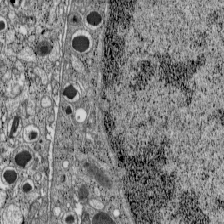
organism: C57BL Mouse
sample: Pancreatic islet